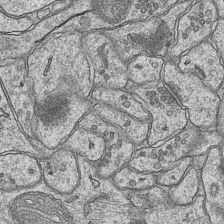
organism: Mouse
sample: CA1 Hippocampus